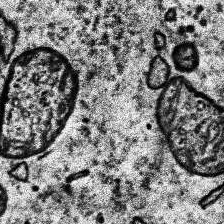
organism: Human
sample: Temporal Lobe